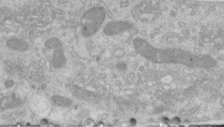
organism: Human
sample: Centriole in RPE cells